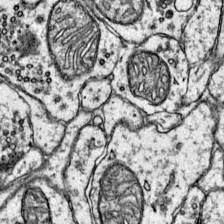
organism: Mouse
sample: Primary visual cortex